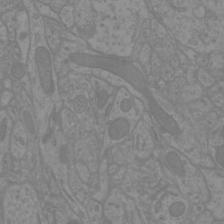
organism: Mouse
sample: Cortical neurons